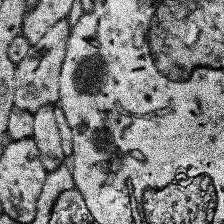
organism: Human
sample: Temporal Lobe